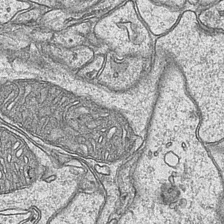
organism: Mouse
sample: CA1 Hippocampus